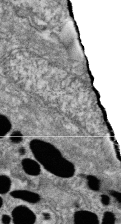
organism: Zebrafish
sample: Cilia; retinal pigment epithelium